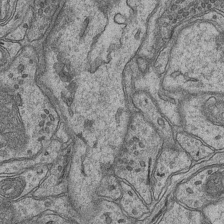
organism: Mouse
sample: CA1 Hippocampus